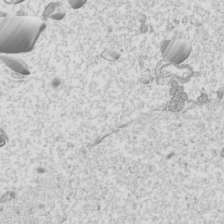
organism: Mouse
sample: Cilia; mouse epididymis